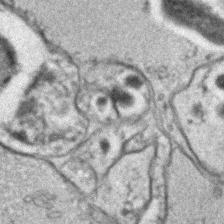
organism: C. elegans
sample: C. elegans embryo